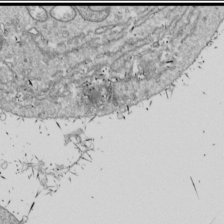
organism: Drosophila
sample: Cell division; meiosis; drosophila spermatocytes